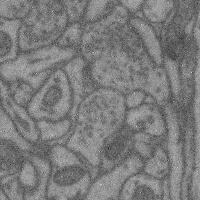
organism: Mouse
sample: Cerebral cortex